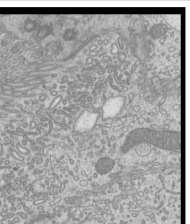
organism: Mouse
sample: Cilia; mouse epididymis